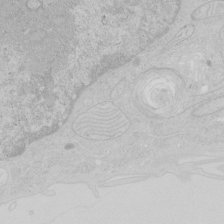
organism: Human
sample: Mitochondria in HCT116 cells